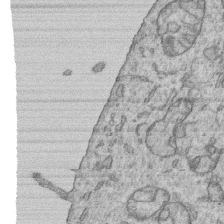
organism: Human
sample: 1205lu cells